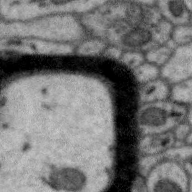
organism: Zebra finch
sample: Brain